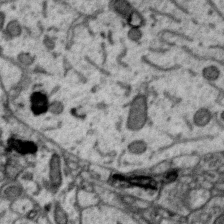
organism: Zebra finch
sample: Brain